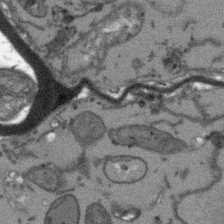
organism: Arabidopsis thaliana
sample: Root tip